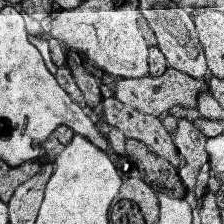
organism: Human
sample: Temporal Lobe